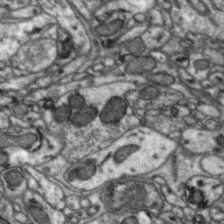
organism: Zebra finch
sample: Brain